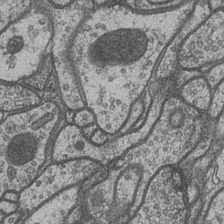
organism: Drosophila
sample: Optic medulla